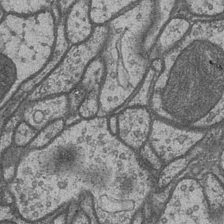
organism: Drosophila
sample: Optic medulla